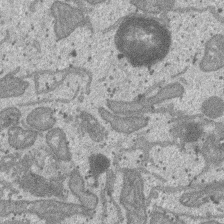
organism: Human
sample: Lung epithelial cells infected with SARS-CoV-2